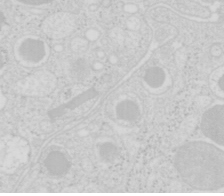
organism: Mouse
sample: Pancreas